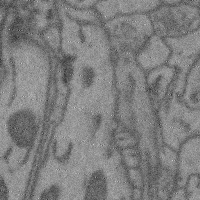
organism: Mouse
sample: Cerebral cortex